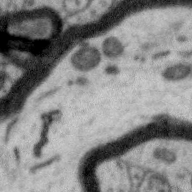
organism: Zebra finch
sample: Brain